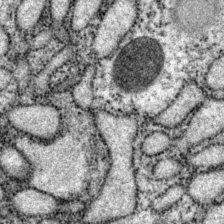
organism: P. pacificus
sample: Pharynx